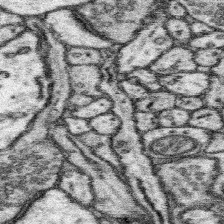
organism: Mouse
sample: Somatosensory cortex neuropil